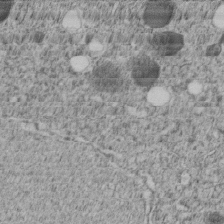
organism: C. elegans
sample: C. elegans embryo early stage